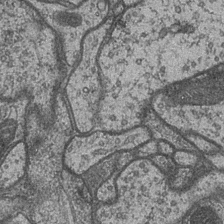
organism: Drosophila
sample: Optic medulla